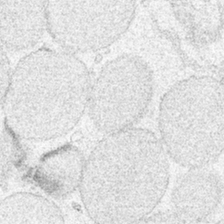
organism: Human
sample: Mitochondria in HCT116 cells